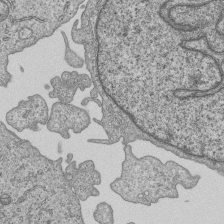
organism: Human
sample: MDA-MB-231 cells